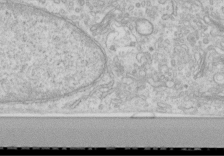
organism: Human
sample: Centriole in RPE cells